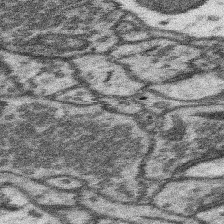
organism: Mouse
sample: Somatosensory cortex neuropil